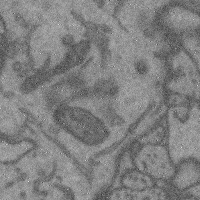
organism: Mouse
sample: Cerebral cortex